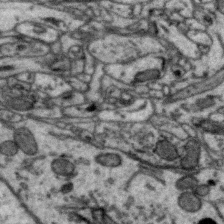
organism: Zebra finch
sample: Brain